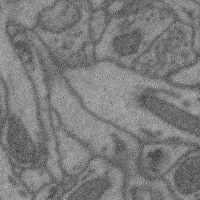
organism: Mouse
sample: Cerebral cortex